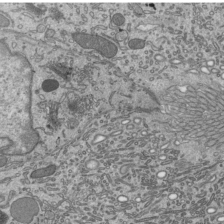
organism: Mouse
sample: Mouse epididymis efferent ductule cilia